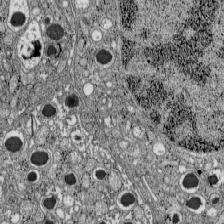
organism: C57BL Mouse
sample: Pancreatic islet